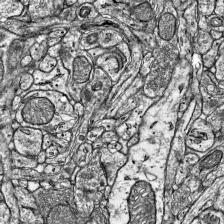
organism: Mouse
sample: Visual Cortex